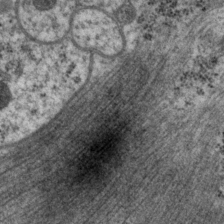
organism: P. pacificus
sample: Pharynx